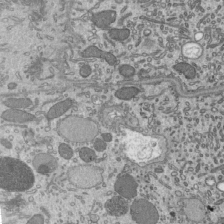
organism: Mouse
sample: Mouse epididymis efferent ductule cilia